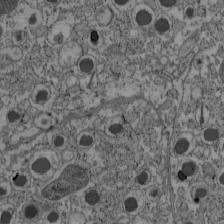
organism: C57BL Mouse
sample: Pancreatic islet